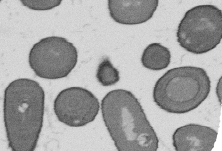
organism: B. subtilis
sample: Bacterial spore